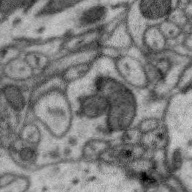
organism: Zebra finch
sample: Brain